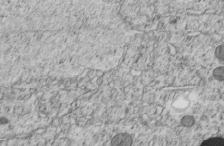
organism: C. elegans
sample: C. elegans embryo early stage